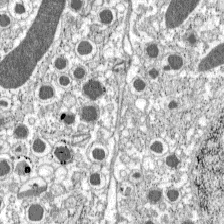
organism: C57BL Mouse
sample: Pancreatic islet